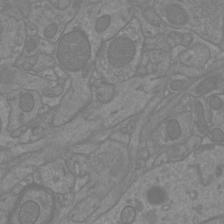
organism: Mouse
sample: Cortical neurons